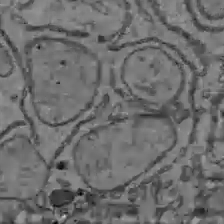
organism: C57BL Mouse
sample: Liver